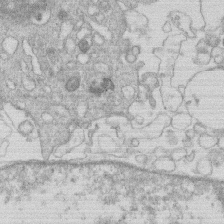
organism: Human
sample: Macrophage cells